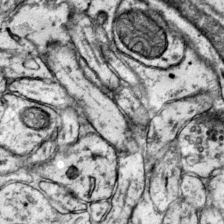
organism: Mouse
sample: Primary visual cortex